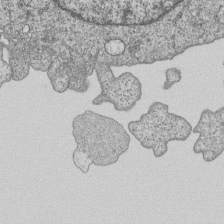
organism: Human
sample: MDA-MB-231 cells